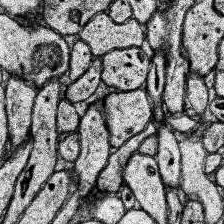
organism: Human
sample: Temporal Lobe